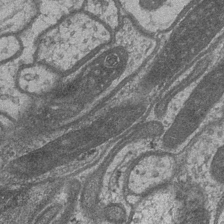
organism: Drosophila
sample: Optic medulla